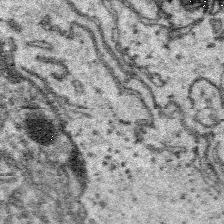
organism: Platynereis dumerilii